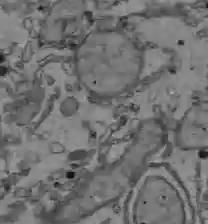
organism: C57BL Mouse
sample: Liver